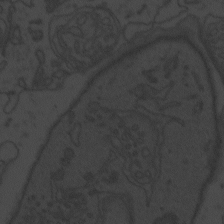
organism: Zebrafish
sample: Macrophage infected with Toxoplasma gondii